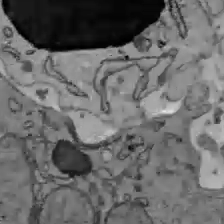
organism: C57BL Mouse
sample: Liver